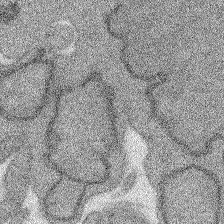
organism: Human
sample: HeLa cells